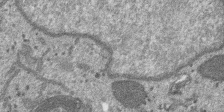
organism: Human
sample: Lung epithelial cells infected with SARS-CoV-2